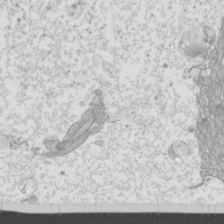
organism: Mouse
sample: Cilia; mouse epididymis